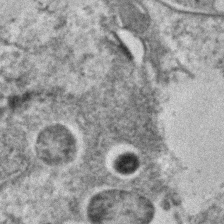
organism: C. elegans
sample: C. elegans embryo